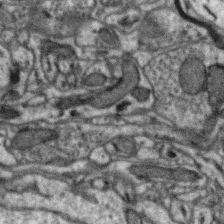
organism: Zebra finch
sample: Brain